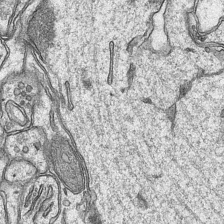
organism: Mouse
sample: CA1 Hippocampus